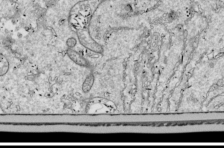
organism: Drosophila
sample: Cell division; meiosis; drosophila spermatocytes